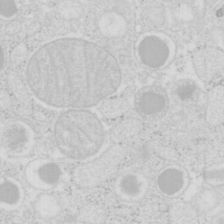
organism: Mouse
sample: Pancreas